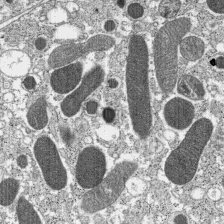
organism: C57BL Mouse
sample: Pancreatic islet